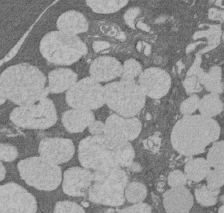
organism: Rat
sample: Salivary granule